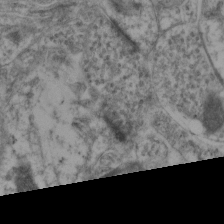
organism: Mouse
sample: Neocortex